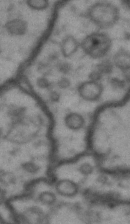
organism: Drosophila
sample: Brain